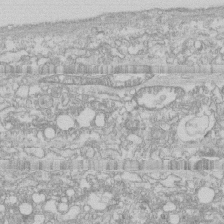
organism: Human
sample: CRL-1474